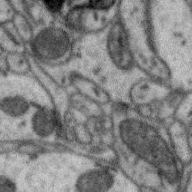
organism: Zebra finch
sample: Brain